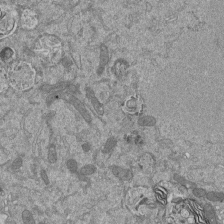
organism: Mouse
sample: ED-1 cell nuclei; centrioles